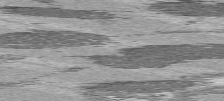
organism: C57BL Mouse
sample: Heart